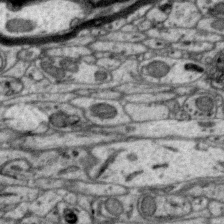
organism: Zebra finch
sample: Brain